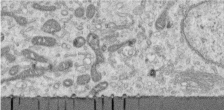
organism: Human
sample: Centriole in RPE cells